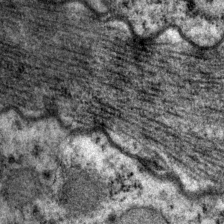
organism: P. pacificus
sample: Pharynx